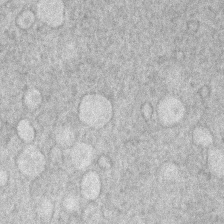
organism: Human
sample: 1205lu cells